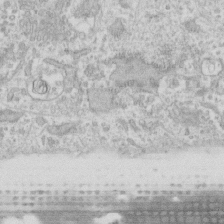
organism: Human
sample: Fibroblast cells